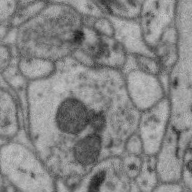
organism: Zebra finch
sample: Brain